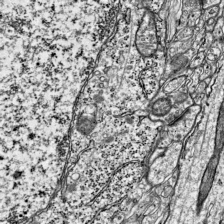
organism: Mouse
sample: Visual Cortex